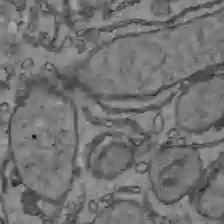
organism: C57BL Mouse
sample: Liver